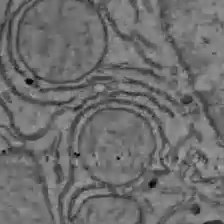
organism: C57BL Mouse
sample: Liver